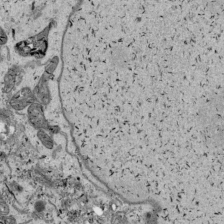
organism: Human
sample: Mitochondria in HCT116 cells